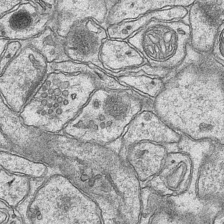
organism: Mouse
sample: CA1 Hippocampus